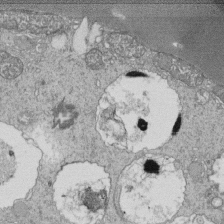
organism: Tetrahymena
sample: Cilia in tetrahymena